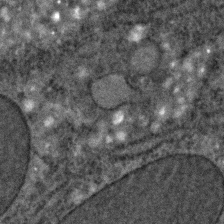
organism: C. elegans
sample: C. elegans embryo